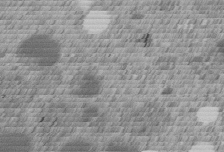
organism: C. elegans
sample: C. elegans embryo early stage